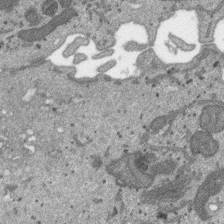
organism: Human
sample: Lung epithelial cells infected with SARS-CoV-2